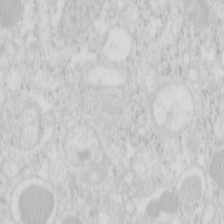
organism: Mouse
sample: Pancreas